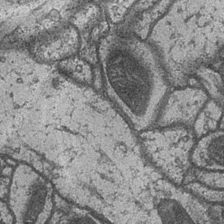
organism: Drosophila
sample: Optic medulla